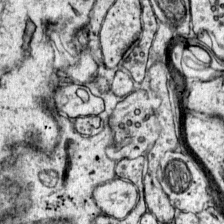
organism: Mouse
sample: Primary visual cortex